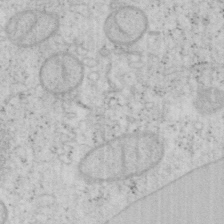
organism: Human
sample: HeLa cells